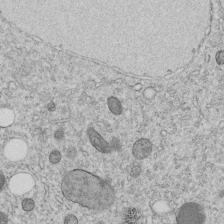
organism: C. elegans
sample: C. elegans embryo early stage